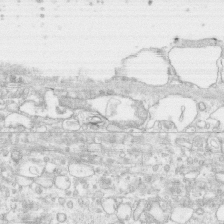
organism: Human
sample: CRL-1474